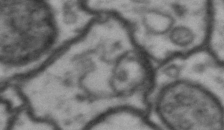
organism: Drosophila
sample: Brain